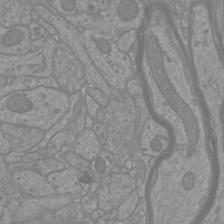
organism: Mouse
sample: Cortical neurons